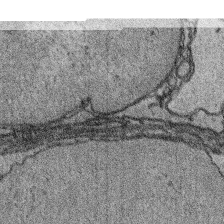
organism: Platynereis dumerilii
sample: Parapodia